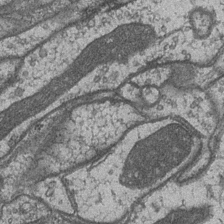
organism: Drosophila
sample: Optic medulla